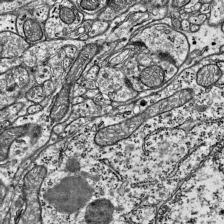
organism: Mouse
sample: Visual Cortex